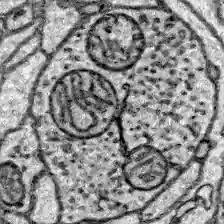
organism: Zebrafish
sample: Brain